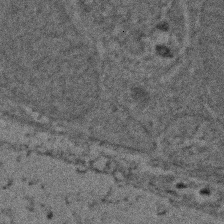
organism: Zebrafish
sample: Zebrafish embryo